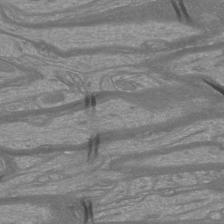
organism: Mouse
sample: Cortical neurons